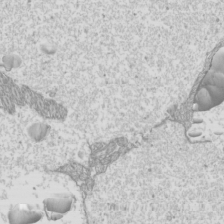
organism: Mouse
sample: Cilia; mouse epididymis